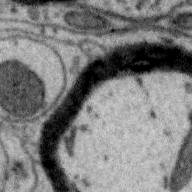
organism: Zebra finch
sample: Brain